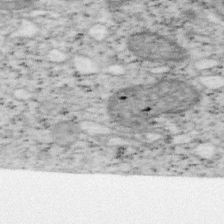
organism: Mouse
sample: OT-I killer T cells with ID8 ovarian cancer cells